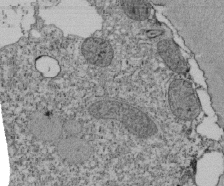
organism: Tetrahymena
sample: Cilia in tetrahymena